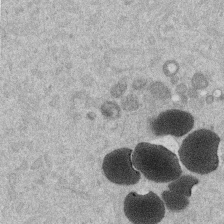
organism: Mouse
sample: Dividing mouse embryo 1 cell stage